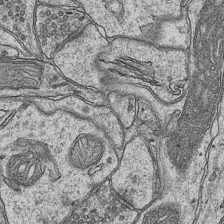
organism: Mouse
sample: CA1 Hippocampus